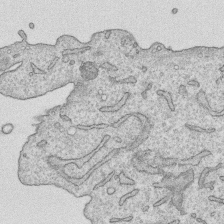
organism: Human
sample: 1205lu cells